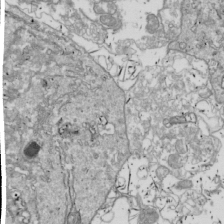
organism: Drosophila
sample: Cell division; meiosis; drosophila spermatocytes